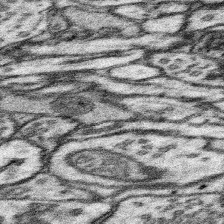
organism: Mouse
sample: Somatosensory cortex neuropil